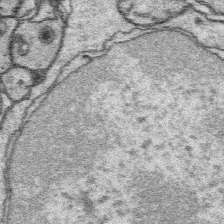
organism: Platynereis dumerilii